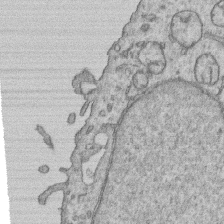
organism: Human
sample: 1205lu cells